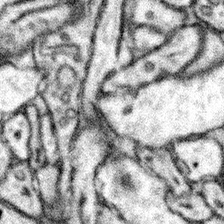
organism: Mouse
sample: Somatosensory cortex neuropil